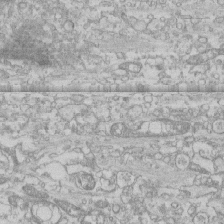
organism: Human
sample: CRL-1474